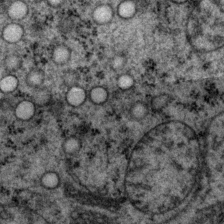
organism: P. pacificus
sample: Pharynx